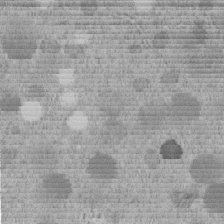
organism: C. elegans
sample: C. elegans embryo early stage